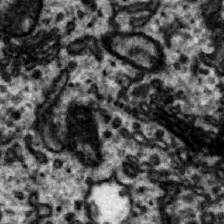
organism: Human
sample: HeLa cells